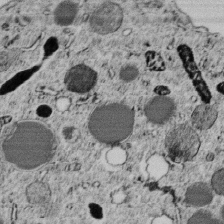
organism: C. elegans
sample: C. elegans embryo early stage